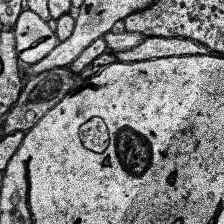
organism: Human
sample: Temporal Lobe